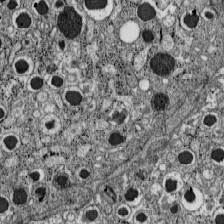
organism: C57BL Mouse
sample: Pancreatic islet